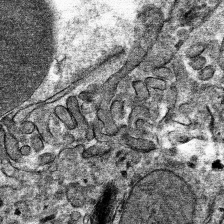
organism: Mouse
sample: Mouse hepatocytes